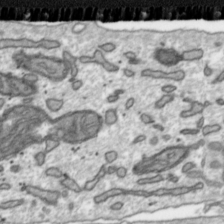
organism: Toxoplasma gondii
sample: Parasites in a vacuole inside a host cell